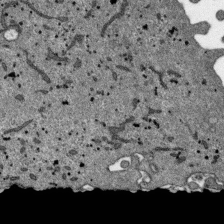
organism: Human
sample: Lung epithelial cells, uninfected (mock) control